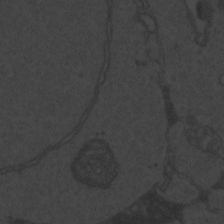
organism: Zebrafish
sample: Macrophage infected with Toxoplasma gondii